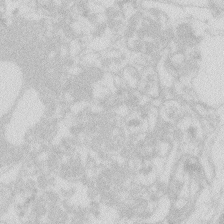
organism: Zebrafish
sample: Macrophage